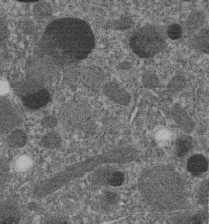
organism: C. elegans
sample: C. elegans embryo early stage